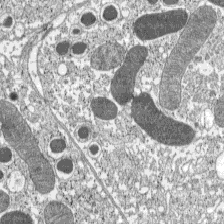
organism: C57BL Mouse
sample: Pancreatic islet